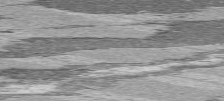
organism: C57BL Mouse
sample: Heart